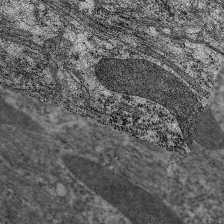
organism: C. elegans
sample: Pharynx